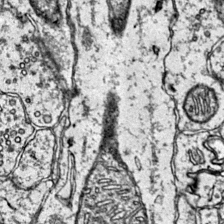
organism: Mouse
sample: Primary visual cortex